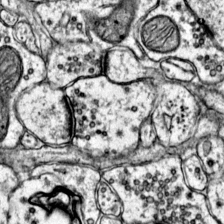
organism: Mouse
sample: Primary visual cortex